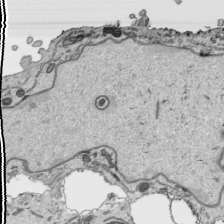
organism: Human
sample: Mitochondria in HCT116 cells